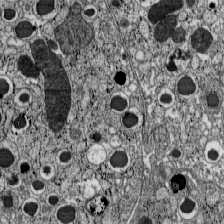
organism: C57BL Mouse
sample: Pancreatic islet